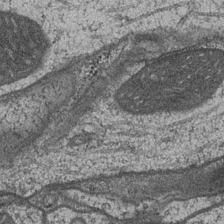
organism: Drosophila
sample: Optic medulla